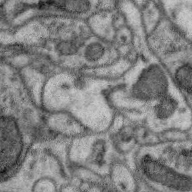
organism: Zebra finch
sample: Brain